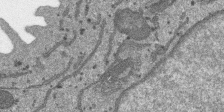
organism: Human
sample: Lung epithelial cells infected with SARS-CoV-2